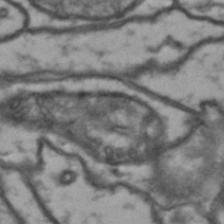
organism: Drosophila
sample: Brain